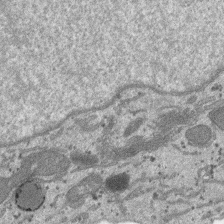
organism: Human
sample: Lung epithelial cells infected with SARS-CoV-2